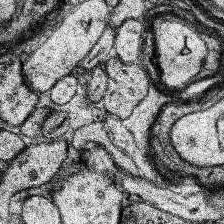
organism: Human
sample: Temporal Lobe